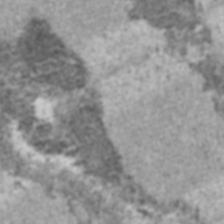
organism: C57BL Mouse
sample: Heart